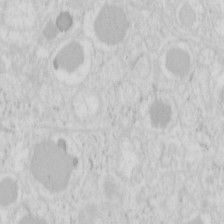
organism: Mouse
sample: Pancreas